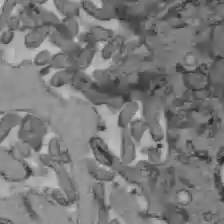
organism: C57BL Mouse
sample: Liver